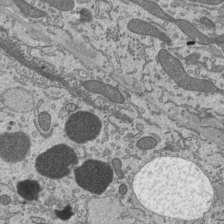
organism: Mouse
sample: Mouse epididymis efferent ductule cilia